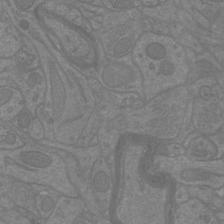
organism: Mouse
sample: Cortical neurons